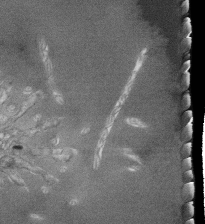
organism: Tetrahymena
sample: Cilia in tetrahymena